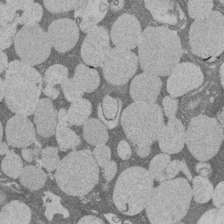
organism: Rat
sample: Salivary granule